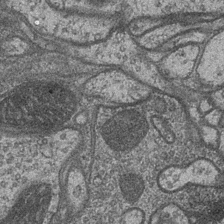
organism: Drosophila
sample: Optic medulla